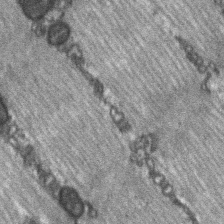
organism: C57BL Mouse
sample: Soleus